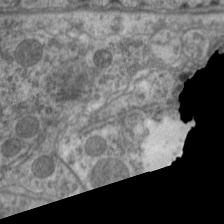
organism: C. elegans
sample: Pharynx